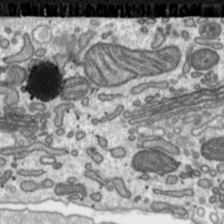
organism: Toxoplasma gondii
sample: Parasites in a vacuole inside a host cell